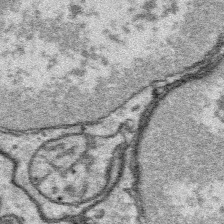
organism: Platynereis dumerilii